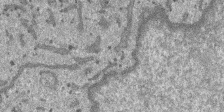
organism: Human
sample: Lung epithelial cells infected with SARS-CoV-2